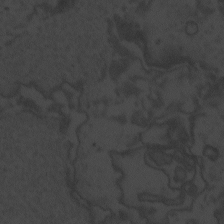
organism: Zebrafish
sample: Macrophage infected with Toxoplasma gondii